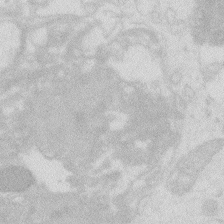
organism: Zebrafish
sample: Macrophage